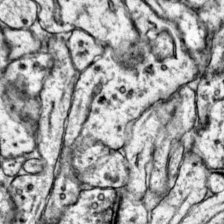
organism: Mouse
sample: Primary visual cortex